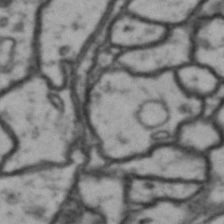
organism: Drosophila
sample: Brain